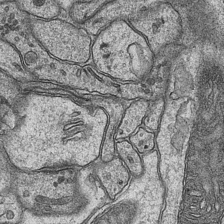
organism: Mouse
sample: CA1 Hippocampus